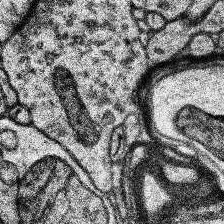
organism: Human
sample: Temporal Lobe